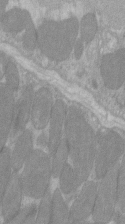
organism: C57BL Mouse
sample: Tibialis anterior muscle cell